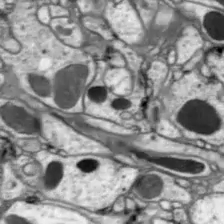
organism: Drosophila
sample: Optic lobe